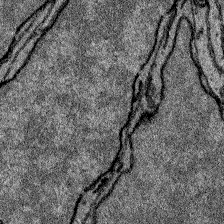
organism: Zebrafish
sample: Larval olfactory bulb